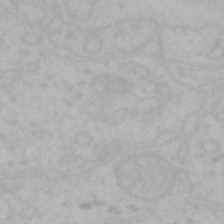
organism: Mouse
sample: Choroid plexus